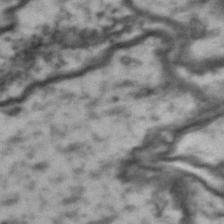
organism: Drosophila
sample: Brain